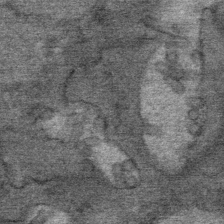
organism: Mouse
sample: Mouse Salivary gland